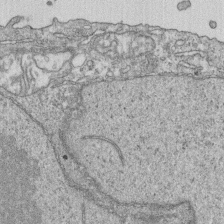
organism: Human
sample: HeLa cell HIV synapse